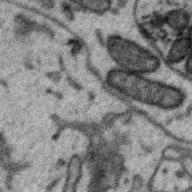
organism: Zebra finch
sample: Brain